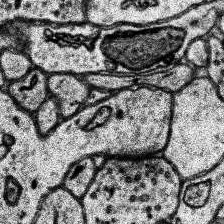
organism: Human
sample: Temporal Lobe